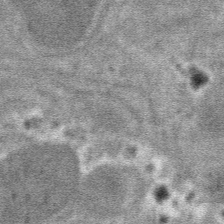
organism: Mouse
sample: Mouse hepatocytes